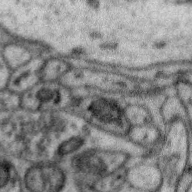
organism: Zebra finch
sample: Brain